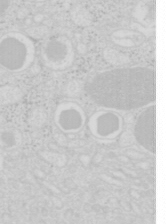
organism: Mouse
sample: Pancreas